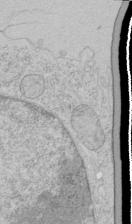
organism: Human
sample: Mitochondria in HCT116 cells